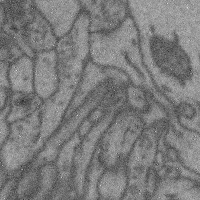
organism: Mouse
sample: Cerebral cortex